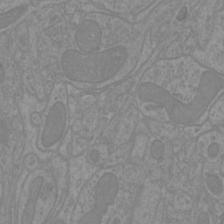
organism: Mouse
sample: Cortical neurons